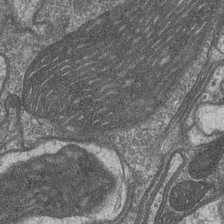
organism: Drosophila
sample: Optic medulla